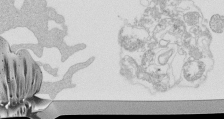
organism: Mouse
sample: Activated Pmel transgenic CD8+ T Cells